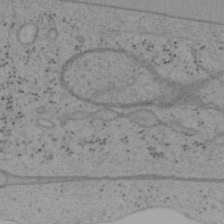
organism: Human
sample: HeLa cells